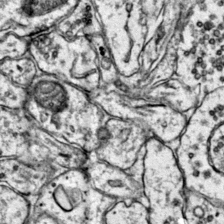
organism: Mouse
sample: Primary visual cortex